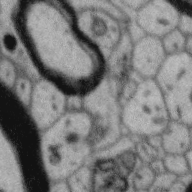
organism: Zebra finch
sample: Brain